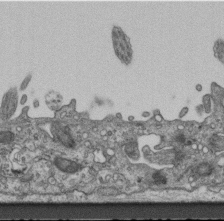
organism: Mouse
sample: Centriole in ependymal cells